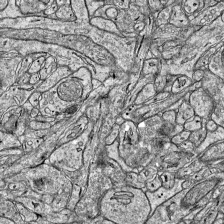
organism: Mouse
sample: Visual Cortex